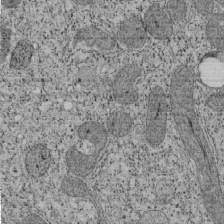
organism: Tetrahymena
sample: Cilia in tetrahymena